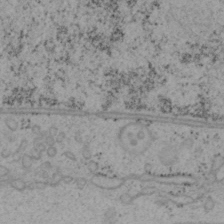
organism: Human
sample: HeLa cells